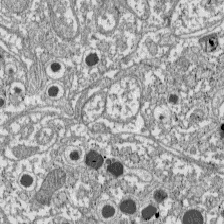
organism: C57BL Mouse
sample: Pancreatic islet